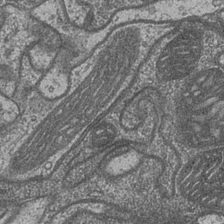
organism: Drosophila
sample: Optic medulla